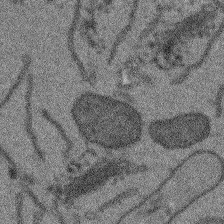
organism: Arabidopsis thaliana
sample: Root tip